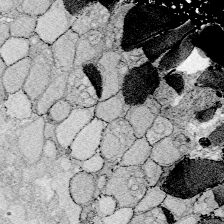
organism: Zebrafish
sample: Whole-Brain